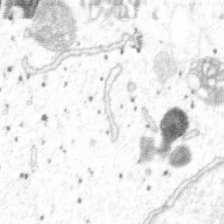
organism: Human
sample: HeLa cells